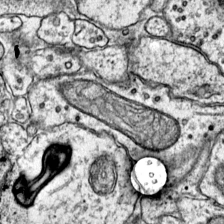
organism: Mouse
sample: Primary visual cortex